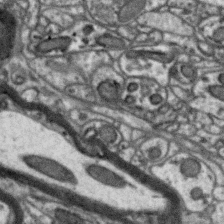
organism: Zebra finch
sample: Brain